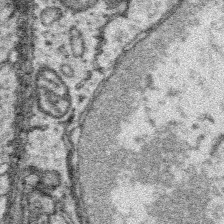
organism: Platynereis dumerilii